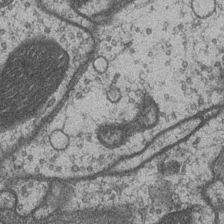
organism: Drosophila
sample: Optic medulla